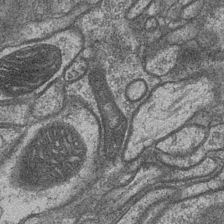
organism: Drosophila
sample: Optic medulla